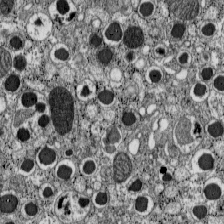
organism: C57BL Mouse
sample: Pancreatic islet